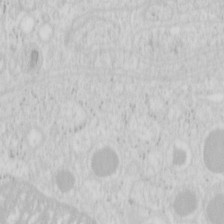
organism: Mouse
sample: Pancreas